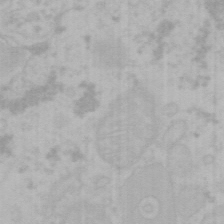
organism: Mouse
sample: Choroid plexus